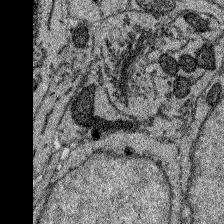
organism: Zebrafish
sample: Larval olfactory bulb